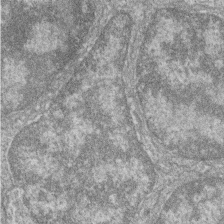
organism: Zebrafish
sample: Cilia; retinal pigment epithelium